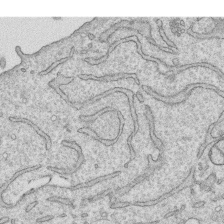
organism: Human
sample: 1205lu cells